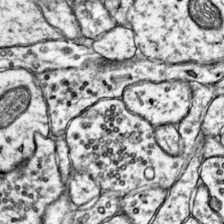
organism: Mouse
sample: Primary visual cortex